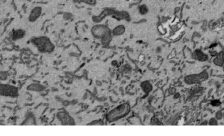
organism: Mouse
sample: ED-1 cell nuclei; centrioles